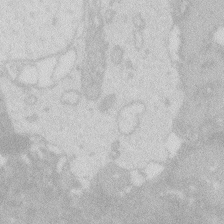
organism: Zebrafish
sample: Macrophage